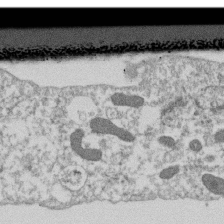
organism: Dictyostelium discoideum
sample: Dictyostelium multivesicular bodies